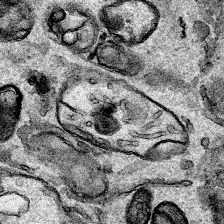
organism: Human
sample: Mitochondria in HCT116 cells